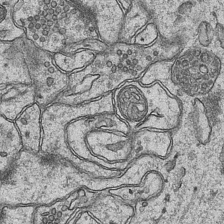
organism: Mouse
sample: CA1 Hippocampus